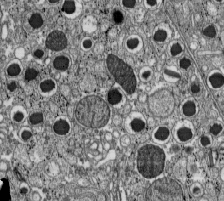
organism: C57BL Mouse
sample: Pancreatic islet